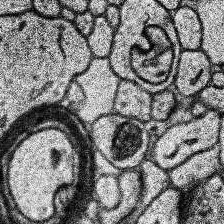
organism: Human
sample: Temporal Lobe